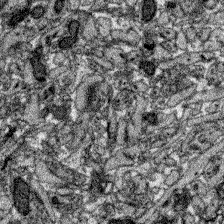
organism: Zebrafish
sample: Larval olfactory bulb